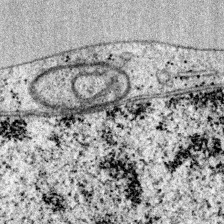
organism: Human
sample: HeLa cells